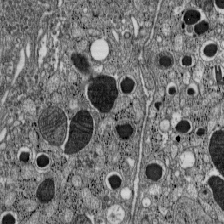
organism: C57BL Mouse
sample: Pancreatic islet